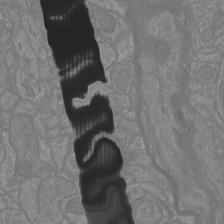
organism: Mouse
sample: Cortical neurons